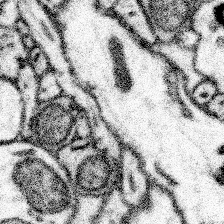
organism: Mouse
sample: Somatosensory cortex neuropil